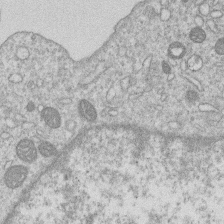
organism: Human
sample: Macrophage cells